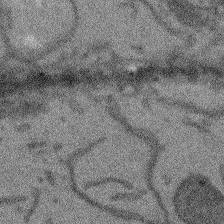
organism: Arabidopsis thaliana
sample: Root tip